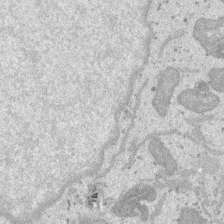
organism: Human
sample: Lung epithelial cells infected with SARS-CoV-2